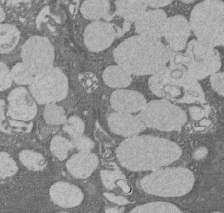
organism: Rat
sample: Salivary granule